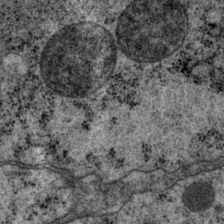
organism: P. pacificus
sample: Pharynx